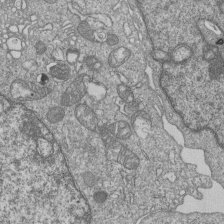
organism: Human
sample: MDA-MB-231 cells